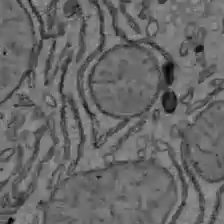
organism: C57BL Mouse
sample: Liver